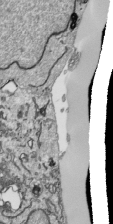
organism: Human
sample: Mitochondria in HCT116 cells